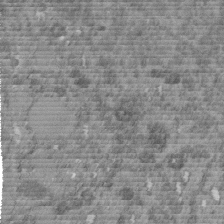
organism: C. elegans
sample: C. elegans embryo early stage